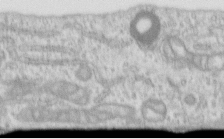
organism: Human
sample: Centriole in RPE cells